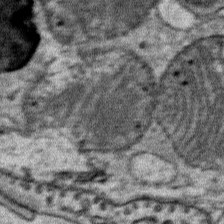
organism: Mouse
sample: Mouse Salivary gland